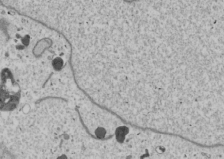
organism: Human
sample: Mitochondria in U2OS cells